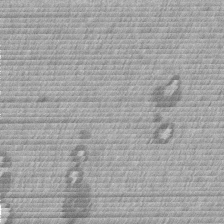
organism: Mouse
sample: Dividing mouse embryo 1 cell stage